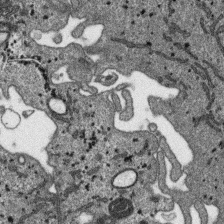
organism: Human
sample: Lung epithelial cells infected with SARS-CoV-2